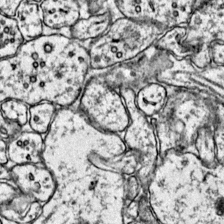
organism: Mouse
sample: Primary visual cortex